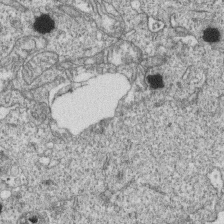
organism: Human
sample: HeLa cell HIV synapse